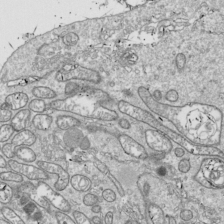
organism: Drosophila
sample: Cell division; meiosis; drosophila spermatocytes